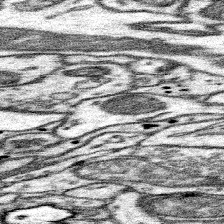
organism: Mouse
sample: Somatosensory cortex neuropil